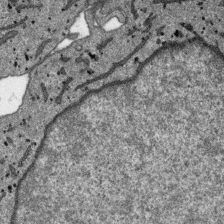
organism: Human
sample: Lung epithelial cells, uninfected (mock) control